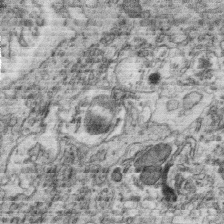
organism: C. elegans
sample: C. elegans oocyte; sperm cells